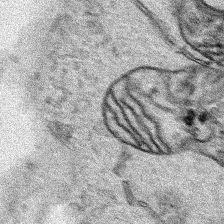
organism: Human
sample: Mitochondria in HCT116 cells